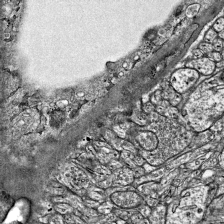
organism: Mouse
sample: Visual Cortex